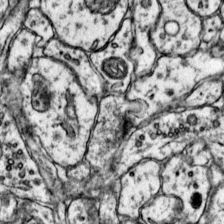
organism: Mouse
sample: Primary visual cortex